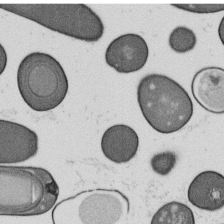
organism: B. subtilis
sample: Bacterial spore